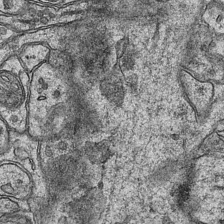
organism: Mouse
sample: CA1 Hippocampus